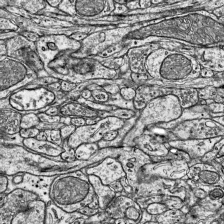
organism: Mouse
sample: Visual Cortex